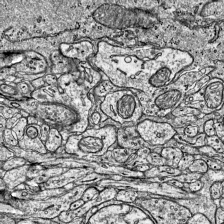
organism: Mouse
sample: Visual Cortex